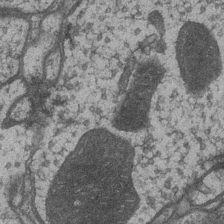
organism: Drosophila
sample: Optic medulla